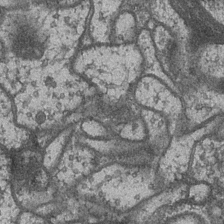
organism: Drosophila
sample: Optic medulla